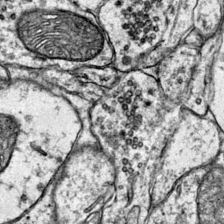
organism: Mouse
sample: Primary visual cortex